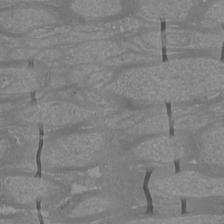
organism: Mouse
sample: Cortical neurons